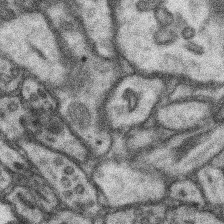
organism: Mouse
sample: Somatosensory cortex neuropil